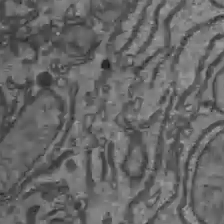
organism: C57BL Mouse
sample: Liver